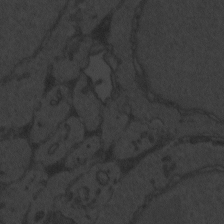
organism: Zebrafish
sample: Macrophage infected with Toxoplasma gondii